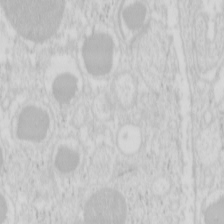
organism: Mouse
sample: Pancreas